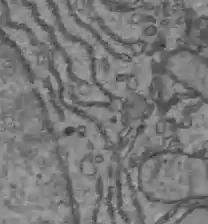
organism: C57BL Mouse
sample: Liver